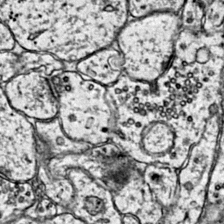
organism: Mouse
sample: Primary visual cortex